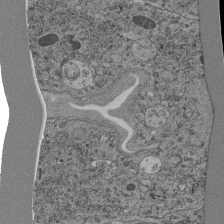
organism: C. elegans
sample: C. elegans pharynx